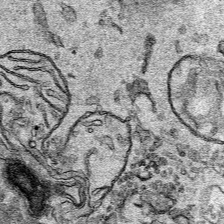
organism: Human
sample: Mitochondria in HCT116 cells